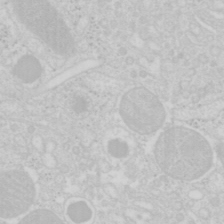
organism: Mouse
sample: Pancreas